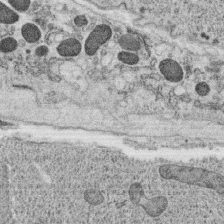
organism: C. elegans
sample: C. elegans oocyte; sperm cells